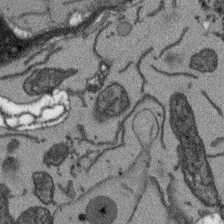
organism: Arabidopsis thaliana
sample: Root tip